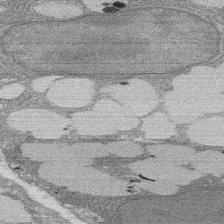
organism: Rat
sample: Salivary granule